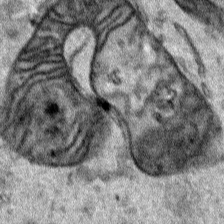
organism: Human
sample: Mitochondria in HCT116 cells